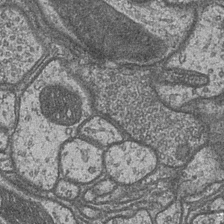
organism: Drosophila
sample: Optic medulla